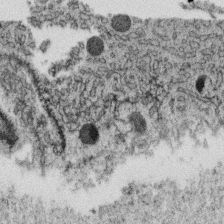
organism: C. elegans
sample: C. elegans oocyte; sperm cells